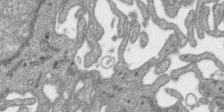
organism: Human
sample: Lung epithelial cells infected with SARS-CoV-2